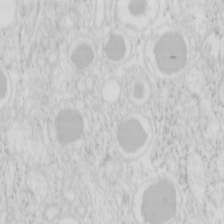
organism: Mouse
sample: Pancreas